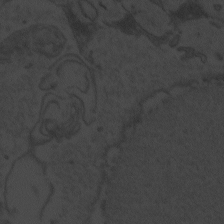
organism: Zebrafish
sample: Macrophage infected with Toxoplasma gondii